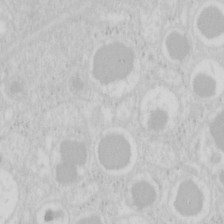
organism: Mouse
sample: Pancreas